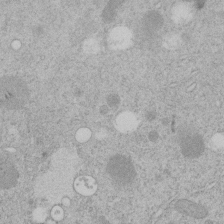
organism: C. elegans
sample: C. elegans embryo early stage